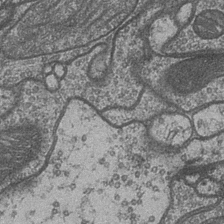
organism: Drosophila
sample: Optic medulla